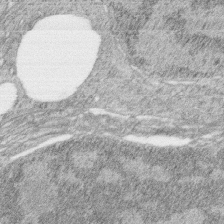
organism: Zebrafish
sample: synaptic ribbons in rod cells and cone cells